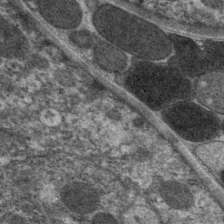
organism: C. elegans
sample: Pharynx